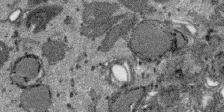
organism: Human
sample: Lung epithelial cells infected with SARS-CoV-2